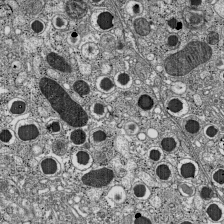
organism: C57BL Mouse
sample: Pancreatic islet